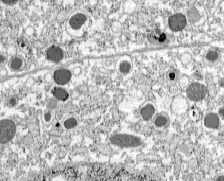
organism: C57BL Mouse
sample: Pancreatic islet